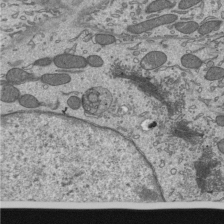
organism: Mouse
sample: Mouse epididymis efferent ductule cilia